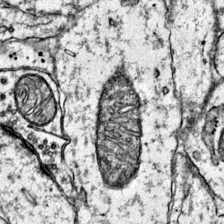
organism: Mouse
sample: Primary visual cortex